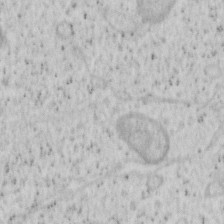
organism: Human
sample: HeLa cells